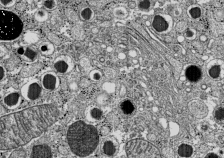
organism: C57BL Mouse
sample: Pancreatic islet